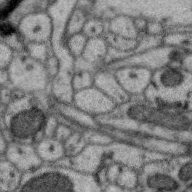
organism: Zebra finch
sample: Brain